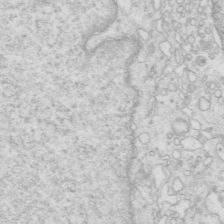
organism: Mouse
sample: Multiciliated cells